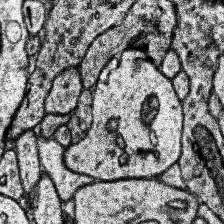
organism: Human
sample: Temporal Lobe